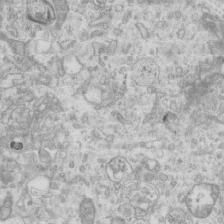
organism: Mouse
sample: Centriole in ependymal cells